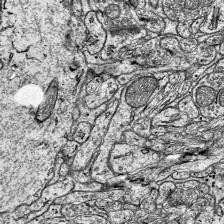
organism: Mouse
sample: Visual Cortex